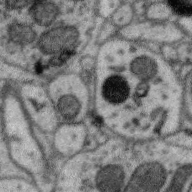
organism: Zebra finch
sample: Brain